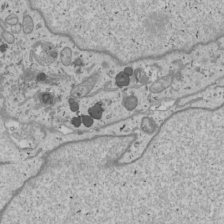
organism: Human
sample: Mitochondria in U2OS cells